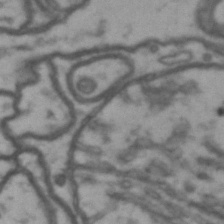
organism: Drosophila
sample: Brain